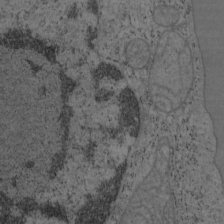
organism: Mouse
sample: OT-I killer T cells with ID8 ovarian cancer cells